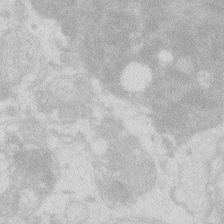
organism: Zebrafish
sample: Macrophage